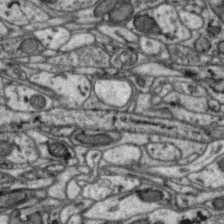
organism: Zebra finch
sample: Brain